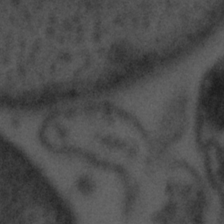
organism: Tuwongella immobilis